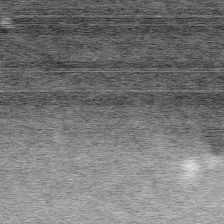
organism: Human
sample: HeLa cells